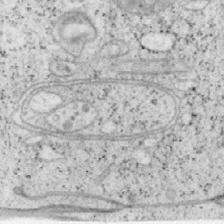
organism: Mouse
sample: OT-I killer T cells with ID8 ovarian cancer cells